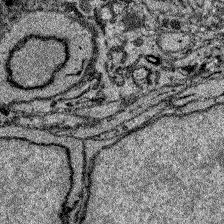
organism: Zebrafish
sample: Larval olfactory bulb